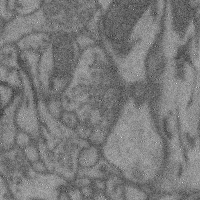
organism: Mouse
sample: Cerebral cortex